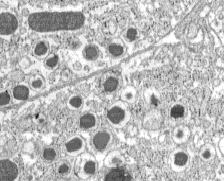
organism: C57BL Mouse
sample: Pancreatic islet